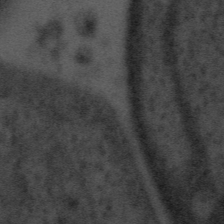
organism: Tuwongella immobilis